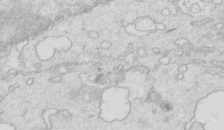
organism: Mouse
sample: Multiciliated cells